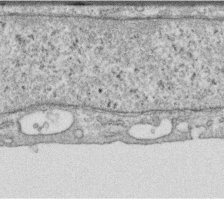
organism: Human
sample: Centriole in RPE cells